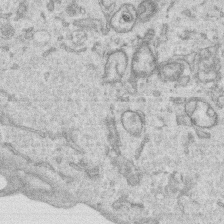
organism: Human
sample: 1205lu cells